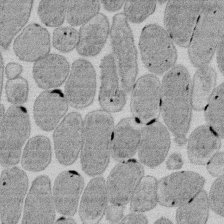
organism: E. coli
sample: Bacterial nucleoid